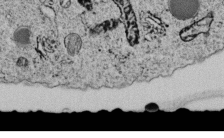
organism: C. elegans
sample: C. elegans embryo early stage